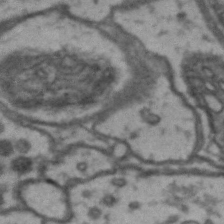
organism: Drosophila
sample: Brain